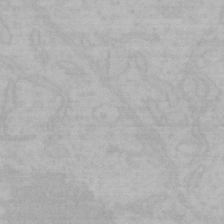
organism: Mouse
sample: Choroid plexus